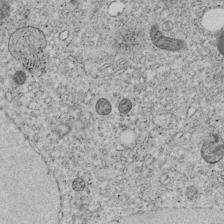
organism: C. elegans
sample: C. elegans embryo early stage